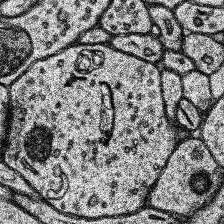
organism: Human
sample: Temporal Lobe